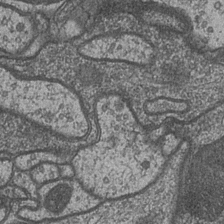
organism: Drosophila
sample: Optic medulla